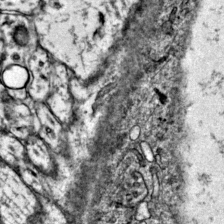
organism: Mouse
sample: Primary visual cortex